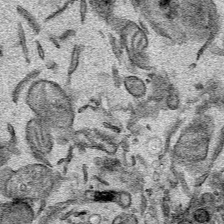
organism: Mouse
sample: Cancer cell death in ED-1 cells